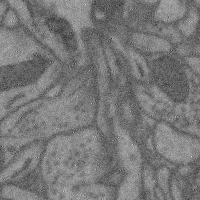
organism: Mouse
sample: Cerebral cortex